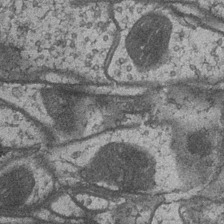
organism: Drosophila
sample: Optic medulla